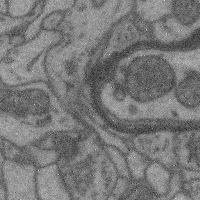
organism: Mouse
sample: Cerebral cortex